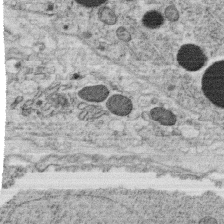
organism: C. elegans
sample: C. elegans oocyte; sperm cells